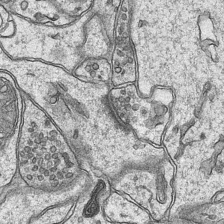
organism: Mouse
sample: CA1 Hippocampus